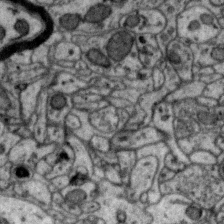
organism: Zebra finch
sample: Brain